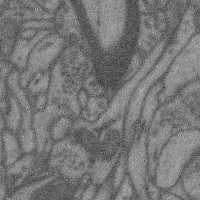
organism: Mouse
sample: Cerebral cortex